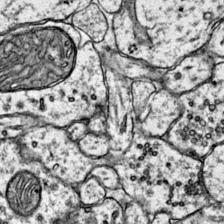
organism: Mouse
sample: Primary visual cortex